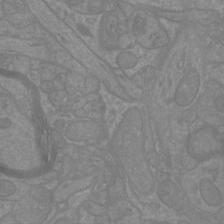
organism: Mouse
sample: Cortical neurons